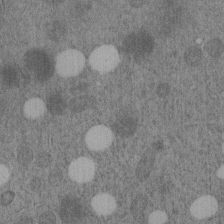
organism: C. elegans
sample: C. elegans embryo early stage